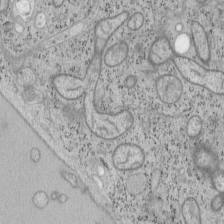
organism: Mouse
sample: OT-I killer T cells with ID8 ovarian cancer cells